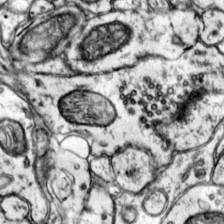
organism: Mouse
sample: Primary visual cortex